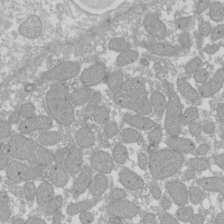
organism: Xenopus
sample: Cilia; centrioles in frog embryo cells